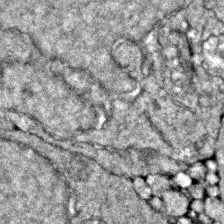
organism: Zebrafish